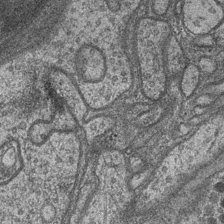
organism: Drosophila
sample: Optic medulla